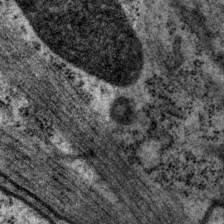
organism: P. pacificus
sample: Pharynx